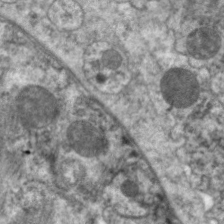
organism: C. elegans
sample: Pharynx